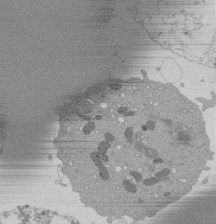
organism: Mouse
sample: Activated Pmel transgenic CD8+ T Cells